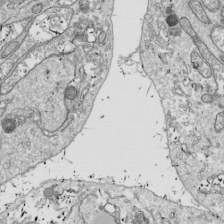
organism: Drosophila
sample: Cell division; meiosis; drosophila spermatocytes